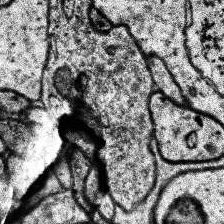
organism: Human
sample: Temporal Lobe